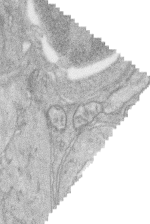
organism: Zebrafish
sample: synaptic ribbons in rod cells and cone cells